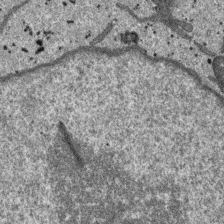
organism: Human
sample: Lung epithelial cells, uninfected (mock) control